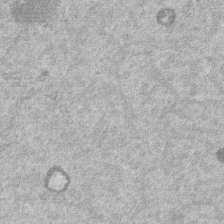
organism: Mouse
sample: Dividing mouse embryo 1 cell stage